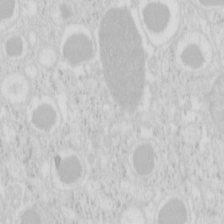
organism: Mouse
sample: Pancreas